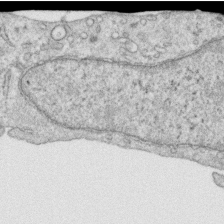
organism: Human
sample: Centriole in RPE cells